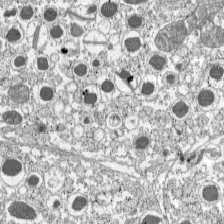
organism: C57BL Mouse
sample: Pancreatic islet